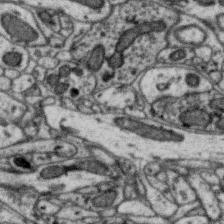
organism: Zebra finch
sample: Brain